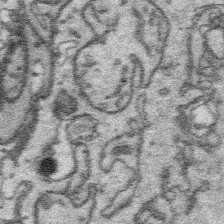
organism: Platynereis dumerilii